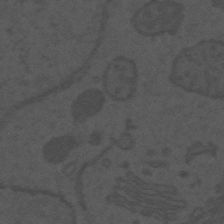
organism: Mouse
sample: Suprachiasmatic nucleus